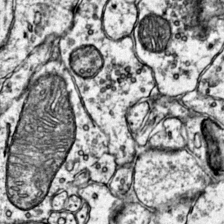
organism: Mouse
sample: Primary visual cortex